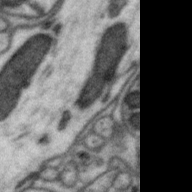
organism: Zebra finch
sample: Brain